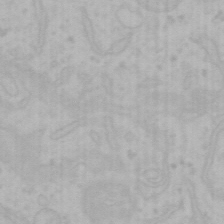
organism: Mouse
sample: Choroid plexus